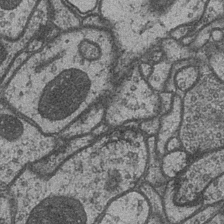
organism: Drosophila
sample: Optic medulla